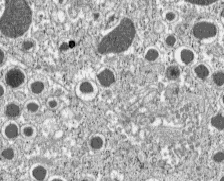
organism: C57BL Mouse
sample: Pancreatic islet